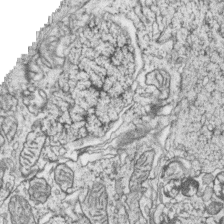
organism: Zebrafish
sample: synaptic ribbons in rod cells and cone cells